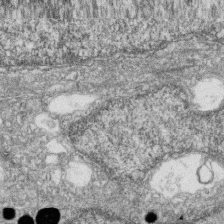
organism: Zebrafish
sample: Cilia; retinal pigment epithelium